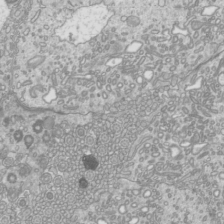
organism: Mouse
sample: Cilia; mouse epididymis